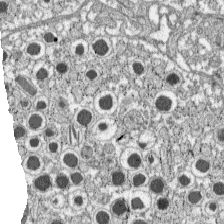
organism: C57BL Mouse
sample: Pancreatic islet